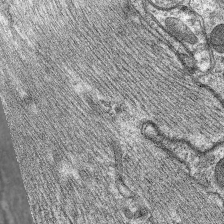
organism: C. elegans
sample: Pharynx